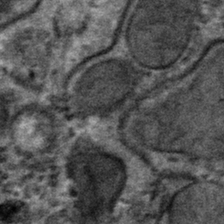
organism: Mouse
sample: Mouse hepatocytes